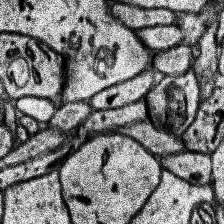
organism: Human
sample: Temporal Lobe